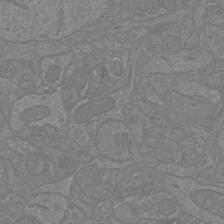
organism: Mouse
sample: Cortical neurons